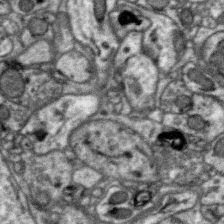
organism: Zebra finch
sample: Brain